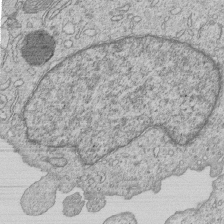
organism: Human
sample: MDA-MB-231 cells